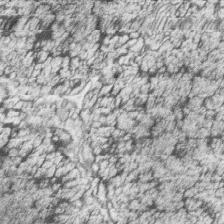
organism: Zebrafish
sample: synaptic ribbons in rod cells and cone cells